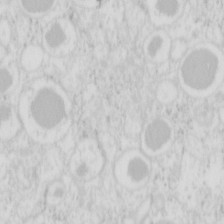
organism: Mouse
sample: Pancreas